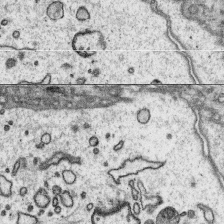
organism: Platynereis dumerilii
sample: Parapodia